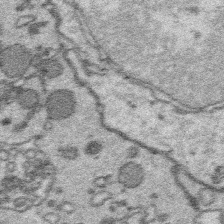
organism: Platynereis dumerilii